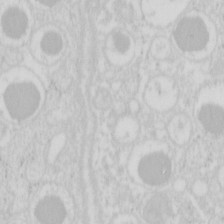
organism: Mouse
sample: Pancreas